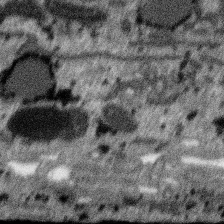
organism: Human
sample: Lung epithelial cells infected with SARS-CoV-2